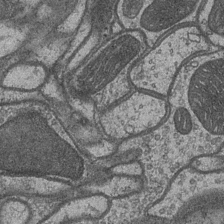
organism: Drosophila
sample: Optic medulla